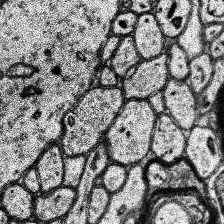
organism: Human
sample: Temporal Lobe